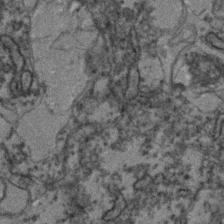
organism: Zebrafish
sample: Zebrafish embryo